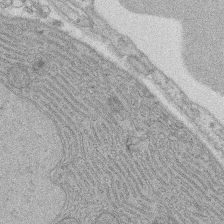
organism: Rat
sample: Salivary granule